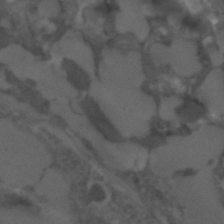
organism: C. elegans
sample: C. elegans embryo